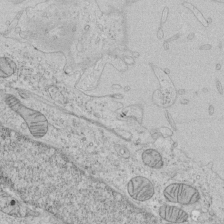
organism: Human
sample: Mitochondria in HCT116 cells